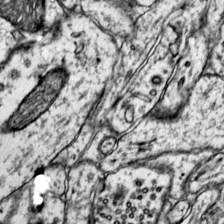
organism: Mouse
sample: Primary visual cortex